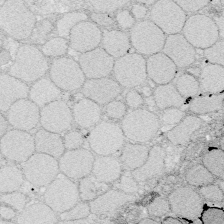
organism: Zebrafish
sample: Whole-Brain